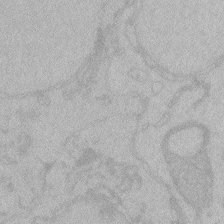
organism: Zebrafish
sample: Macrophage infected with Toxoplasma gondii